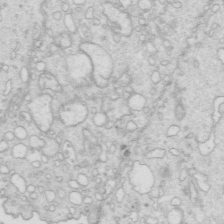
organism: Mouse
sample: Multiciliated cells